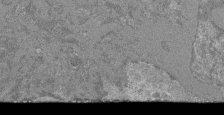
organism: Mouse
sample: Glomerulus